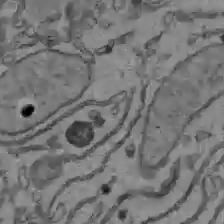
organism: C57BL Mouse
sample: Liver